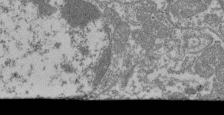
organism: Mouse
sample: Glomerulus